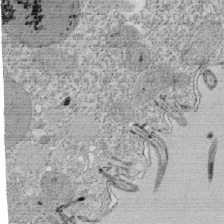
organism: Tetrahymena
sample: Cilia in tetrahymena